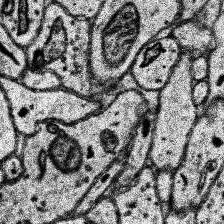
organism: Human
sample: Temporal Lobe